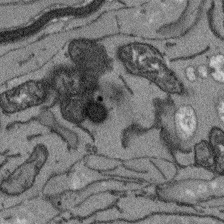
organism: Arabidopsis thaliana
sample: Root tip